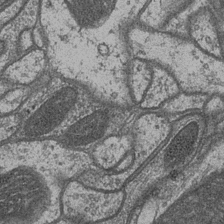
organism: Drosophila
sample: Optic medulla